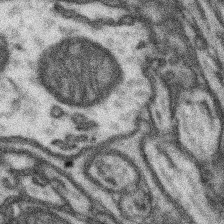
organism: Mouse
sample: Somatosensory cortex neuropil